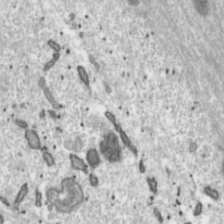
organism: Toxoplasma gondii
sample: Parasites in a vacuole inside a host cell